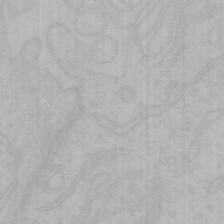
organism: Mouse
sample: Choroid plexus